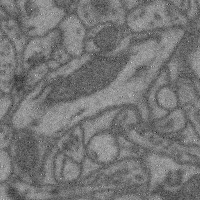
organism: Mouse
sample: Cerebral cortex